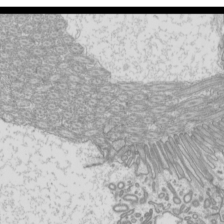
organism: Mouse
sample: Cilia; mouse epididymis